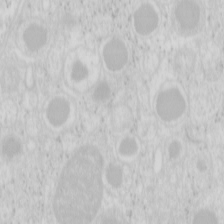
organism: Mouse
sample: Pancreas